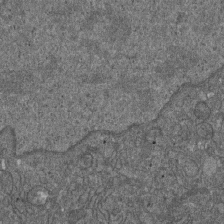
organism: Drosophila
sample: Nephrocyte